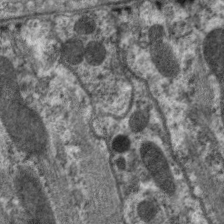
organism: C. elegans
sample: Pharynx